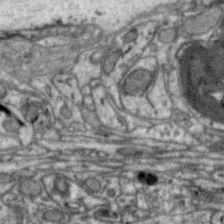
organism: Zebra finch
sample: Brain